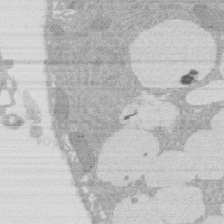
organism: Rat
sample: Salivary granule